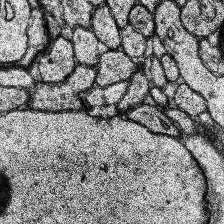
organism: Human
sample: Temporal Lobe